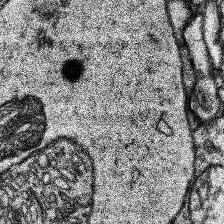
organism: Human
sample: Temporal Lobe